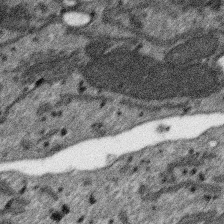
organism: Human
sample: Lung epithelial cells infected with SARS-CoV-2